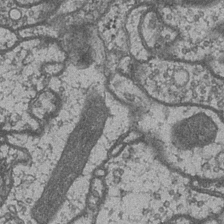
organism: Drosophila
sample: Optic medulla